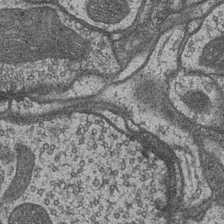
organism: Drosophila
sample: Optic medulla